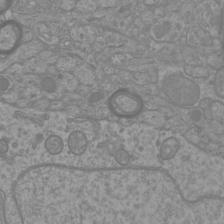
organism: Mouse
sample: Cortical neurons